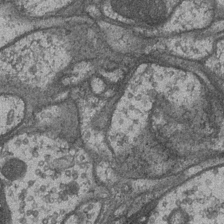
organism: Drosophila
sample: Optic medulla